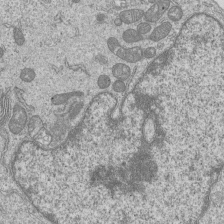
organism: Human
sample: MDA-MB-231 cells